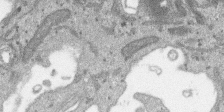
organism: Human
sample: Lung epithelial cells infected with SARS-CoV-2